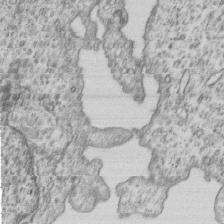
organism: Human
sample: MDA-MB-231 cells